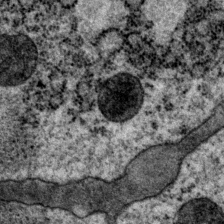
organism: P. pacificus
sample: Pharynx